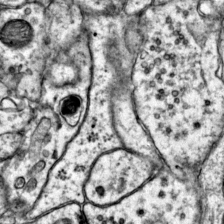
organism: Mouse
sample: Primary visual cortex